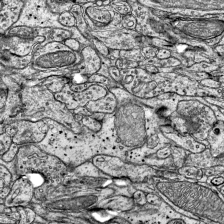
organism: Mouse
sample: Visual Cortex